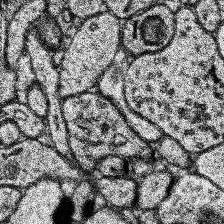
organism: Human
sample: Temporal Lobe